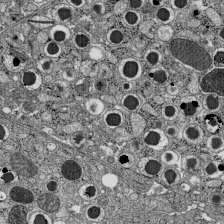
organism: C57BL Mouse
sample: Pancreatic islet